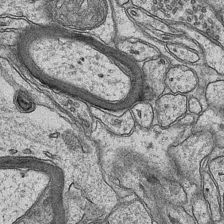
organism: Mouse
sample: CA1 Hippocampus